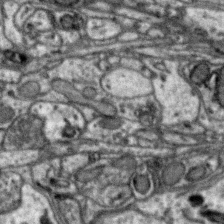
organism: Zebra finch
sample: Brain